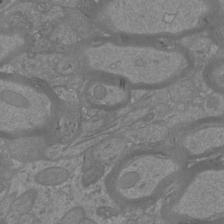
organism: Mouse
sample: Cortical neurons